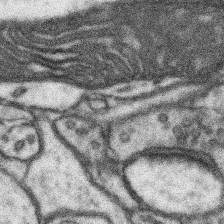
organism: Mouse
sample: Somatosensory cortex neuropil